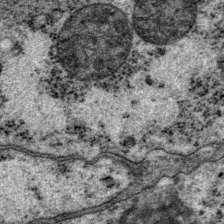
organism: P. pacificus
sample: Pharynx